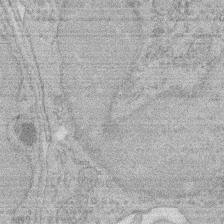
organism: Rat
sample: Salivary granule